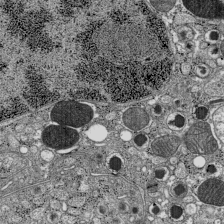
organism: C57BL Mouse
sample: Pancreatic islet